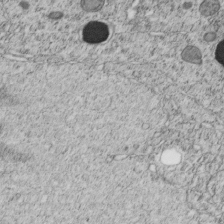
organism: C. elegans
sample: C. elegans embryo early stage